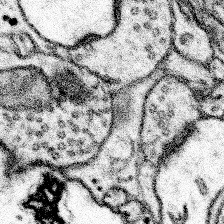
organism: Mouse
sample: Somatosensory cortex neuropil